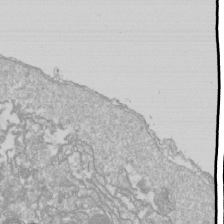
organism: Drosophila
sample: Cell division; meiosis; drosophila spermatocytes